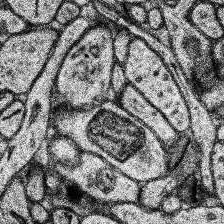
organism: Human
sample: Temporal Lobe